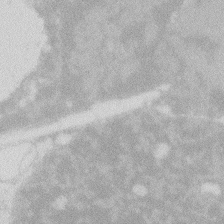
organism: Zebrafish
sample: Macrophage